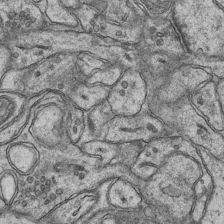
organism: Mouse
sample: CA1 Hippocampus